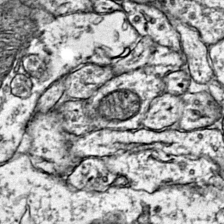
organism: Mouse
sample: Primary visual cortex